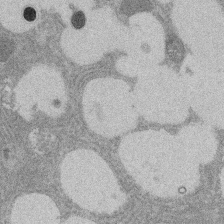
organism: Rat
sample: Salivary granule